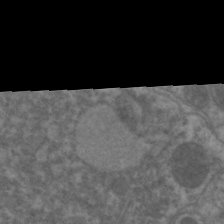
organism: C. elegans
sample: Pharynx